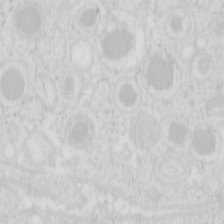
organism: Mouse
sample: Pancreas